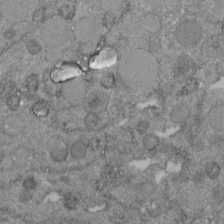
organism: C. elegans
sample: C. elegans embryo early stage